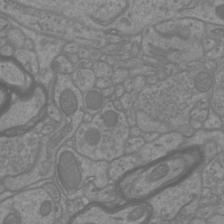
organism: Mouse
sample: Cortical neurons